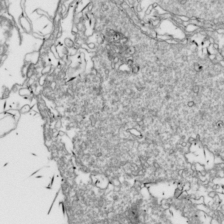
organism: Drosophila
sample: Cell division; meiosis; drosophila spermatocytes